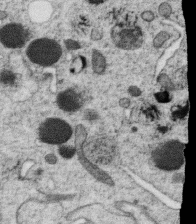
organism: C. elegans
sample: C. elegans oocyte; sperm cells